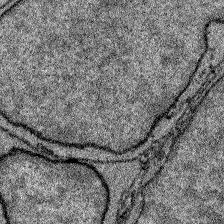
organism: Zebrafish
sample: Larval olfactory bulb